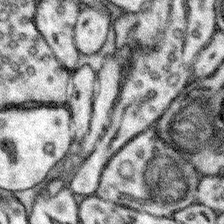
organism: Mouse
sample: Somatosensory cortex neuropil